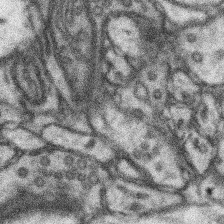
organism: Mouse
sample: Somatosensory cortex neuropil